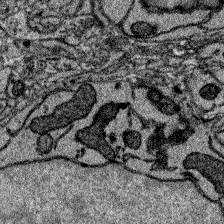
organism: Zebrafish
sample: Larval olfactory bulb